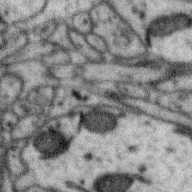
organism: Zebra finch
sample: Brain